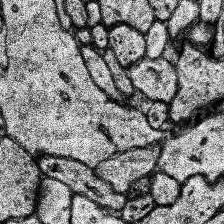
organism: Human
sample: Temporal Lobe